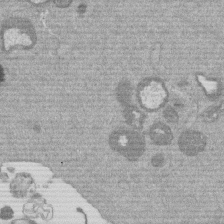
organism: Mouse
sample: Dividing mouse embryo 1 cell stage